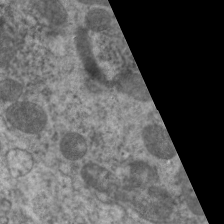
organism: C. elegans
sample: Pharynx